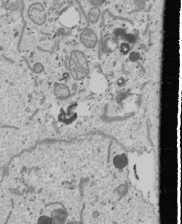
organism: Human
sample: Mitochondria in U2OS cells